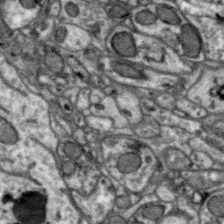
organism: Zebra finch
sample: Brain